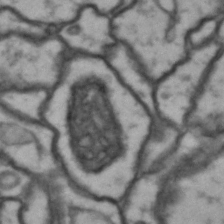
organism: Drosophila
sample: Brain